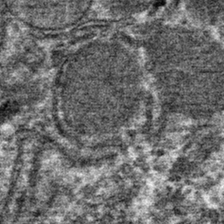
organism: Mouse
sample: Mouse hepatocytes